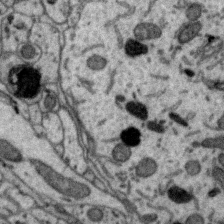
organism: Zebra finch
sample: Brain